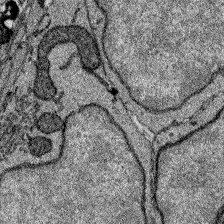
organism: Zebrafish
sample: Larval olfactory bulb